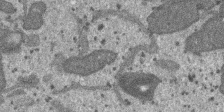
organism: Human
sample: Lung epithelial cells infected with SARS-CoV-2